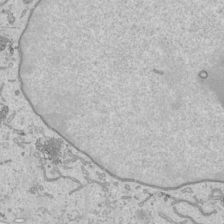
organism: Human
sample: Mitochondria in HCT116 cells